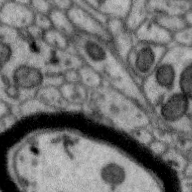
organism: Zebra finch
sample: Brain